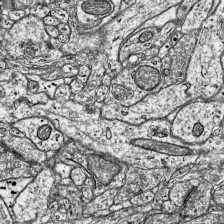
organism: Mouse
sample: Visual Cortex